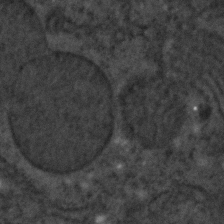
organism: C. elegans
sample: C. elegans embryo